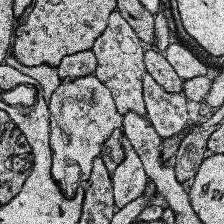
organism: Human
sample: Temporal Lobe